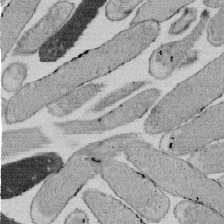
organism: E. coli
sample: Bacterial nucleoid